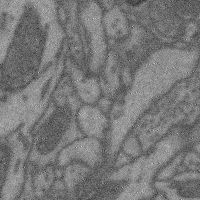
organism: Mouse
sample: Cerebral cortex